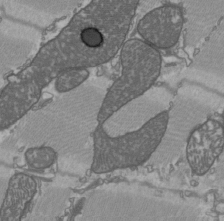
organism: C57BL Mouse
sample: Heart